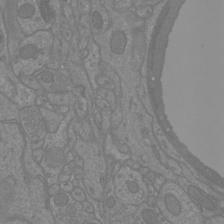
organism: Mouse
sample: Cortical neurons